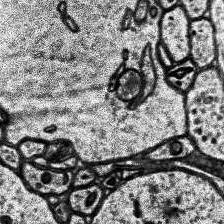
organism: Human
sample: Temporal Lobe